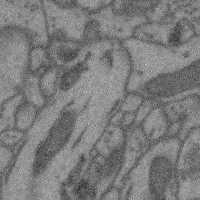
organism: Mouse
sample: Cerebral cortex